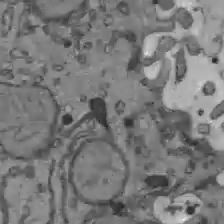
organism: C57BL Mouse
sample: Liver